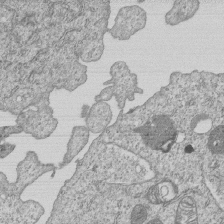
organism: Human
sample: MDA-MB-231 cells